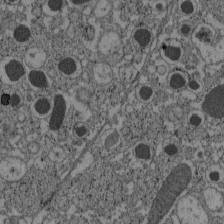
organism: C57BL Mouse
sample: Pancreatic islet